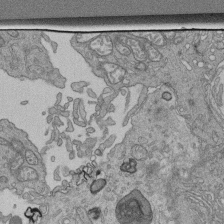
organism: Human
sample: Retinal organoid Rod and Cone cells